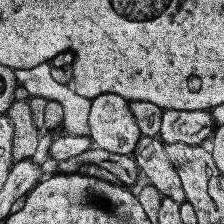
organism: Human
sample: Temporal Lobe